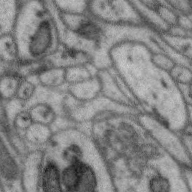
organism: Zebra finch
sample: Brain